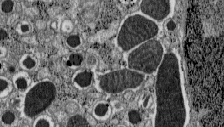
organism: C57BL Mouse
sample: Pancreatic islet